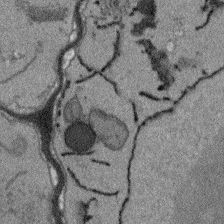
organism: Arabidopsis thaliana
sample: Root tip